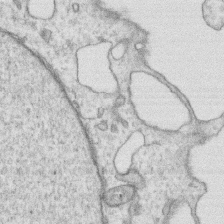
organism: Human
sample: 1205lu cells